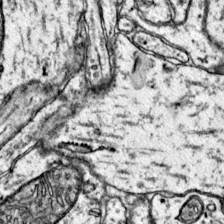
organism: Mouse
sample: Primary visual cortex